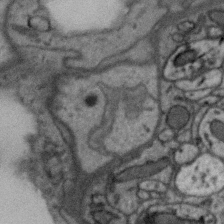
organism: Zebra finch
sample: Brain